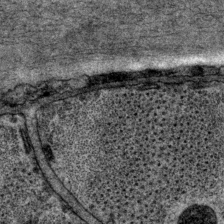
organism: P. pacificus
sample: Pharynx